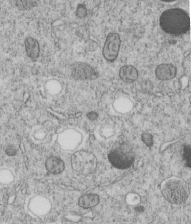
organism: C. elegans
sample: C. elegans embryo early stage